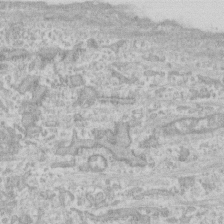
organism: Human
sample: CRL-1474